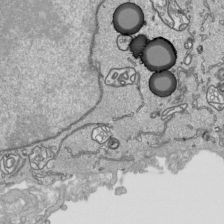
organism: Human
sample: Mitochondria in HCT116 cells